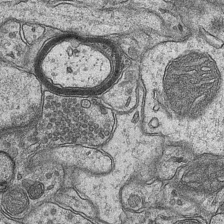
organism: Mouse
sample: CA1 Hippocampus